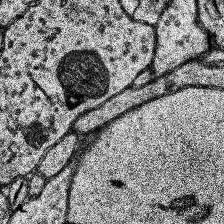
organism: Human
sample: Temporal Lobe